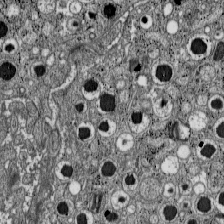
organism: C57BL Mouse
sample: Pancreatic islet